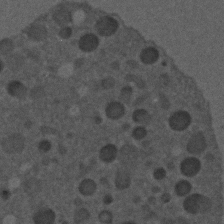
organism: C. elegans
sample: C. elegans embryo